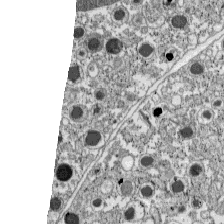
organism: C57BL Mouse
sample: Pancreatic islet